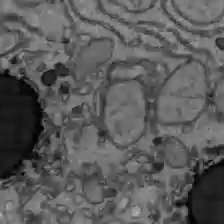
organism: C57BL Mouse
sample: Liver